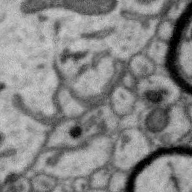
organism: Zebra finch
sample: Brain